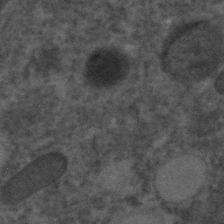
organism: C. elegans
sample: C. elegans embryo